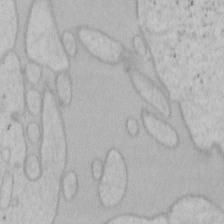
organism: Human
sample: HeLa cells